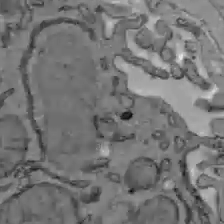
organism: C57BL Mouse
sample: Liver